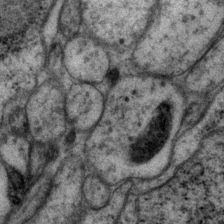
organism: P. pacificus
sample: Pharynx